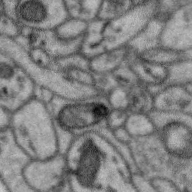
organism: Zebra finch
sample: Brain